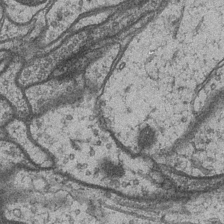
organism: Drosophila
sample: Optic medulla